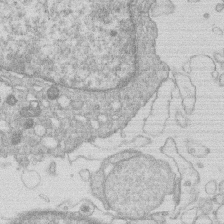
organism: Human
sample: Macrophage cells